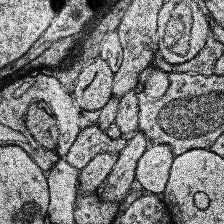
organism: Human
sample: Temporal Lobe